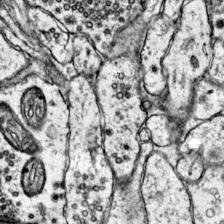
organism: Mouse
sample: Primary visual cortex